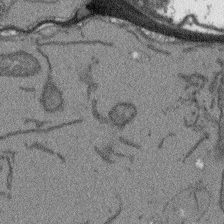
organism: Arabidopsis thaliana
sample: Root tip